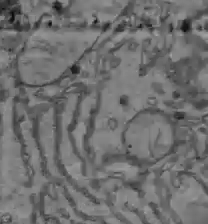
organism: C57BL Mouse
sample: Liver